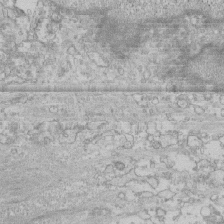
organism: Human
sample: CRL-1474